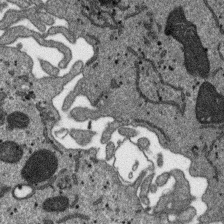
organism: Human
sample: Lung epithelial cells infected with SARS-CoV-2